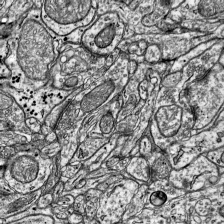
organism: Mouse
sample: Visual Cortex